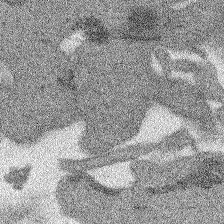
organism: Human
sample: HeLa cells